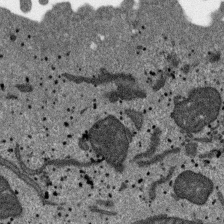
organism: Human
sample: Lung epithelial cells, uninfected (mock) control